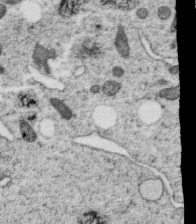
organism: C. elegans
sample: C. elegans oocyte; sperm cells